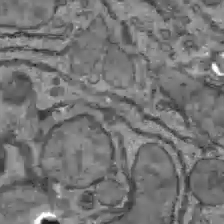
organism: C57BL Mouse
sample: Liver